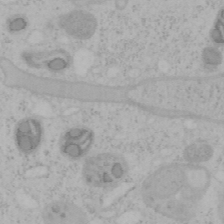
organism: Mouse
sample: OT-I killer T cells with ID8 ovarian cancer cells